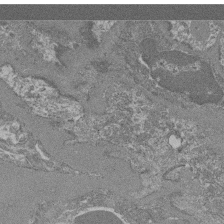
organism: Mouse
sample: Glomerulus